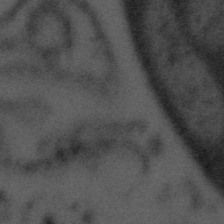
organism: Tuwongella immobilis